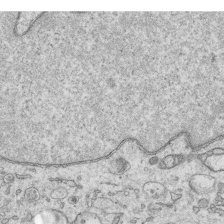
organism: Human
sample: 1205lu cells